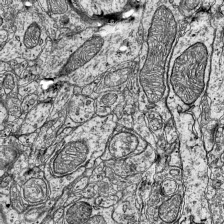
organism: Mouse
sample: Visual Cortex